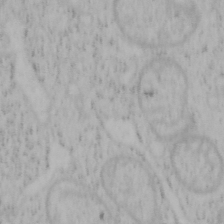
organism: Mouse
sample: OT-I killer T cells with ID8 ovarian cancer cells